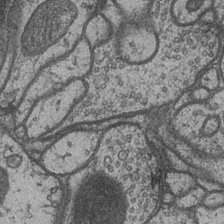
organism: Drosophila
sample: Optic medulla